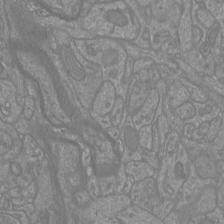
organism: Mouse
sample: Cortical neurons